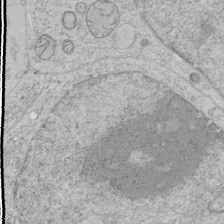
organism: Human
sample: Mitochondria in HCT116 cells